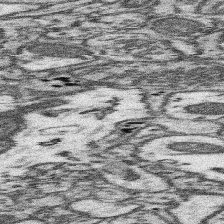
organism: Mouse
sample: Somatosensory cortex neuropil